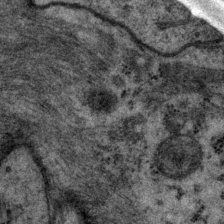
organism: P. pacificus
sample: Pharynx